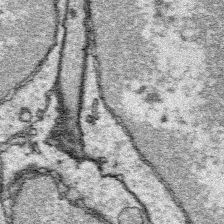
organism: Platynereis dumerilii